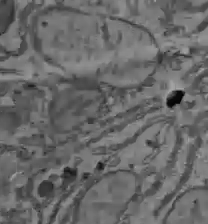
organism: C57BL Mouse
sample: Liver